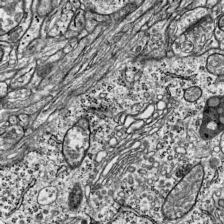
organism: Mouse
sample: Visual Cortex